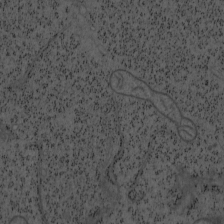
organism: Mouse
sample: OT-I killer T cells with ID8 ovarian cancer cells